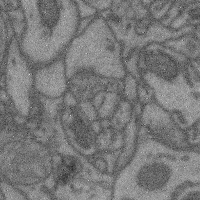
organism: Mouse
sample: Cerebral cortex